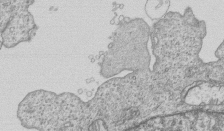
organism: Human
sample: MDA-MB-231 cells